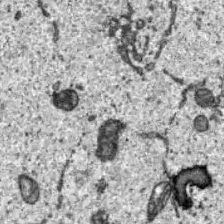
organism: Human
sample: HeLa cells